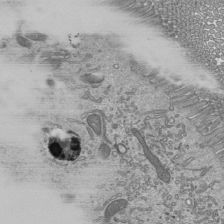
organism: Mouse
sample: Mouse epididymis efferent ductule cilia